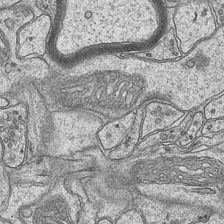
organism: Mouse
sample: CA1 Hippocampus